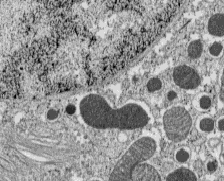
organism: C57BL Mouse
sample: Pancreatic islet